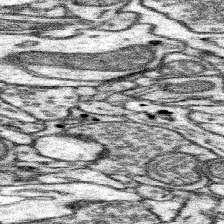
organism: Mouse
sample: Somatosensory cortex neuropil